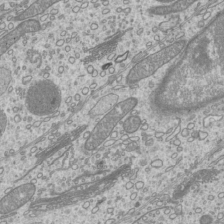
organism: Mouse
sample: Cilia; mouse epididymis